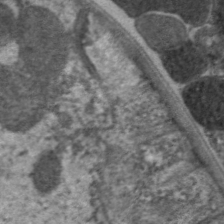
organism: C. elegans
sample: Pharynx